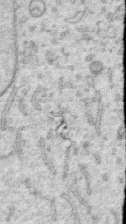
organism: Human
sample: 1205lu cells